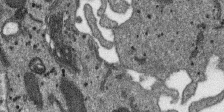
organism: Human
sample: Lung epithelial cells infected with SARS-CoV-2